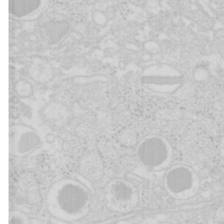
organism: Mouse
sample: Pancreas